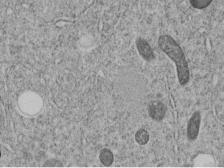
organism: C. elegans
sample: C. elegans embryo early stage